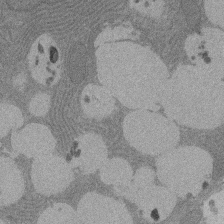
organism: Rat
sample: Salivary granule